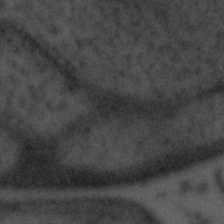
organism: Tuwongella immobilis